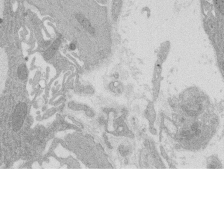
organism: Rat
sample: Salivary granule